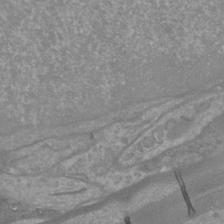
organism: Mouse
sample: Cortical neurons